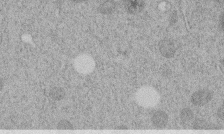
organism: C. elegans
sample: C. elegans embryo early stage